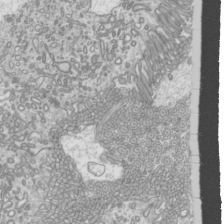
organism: Mouse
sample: Cilia; mouse epididymis